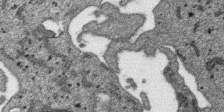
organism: Human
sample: Lung epithelial cells infected with SARS-CoV-2